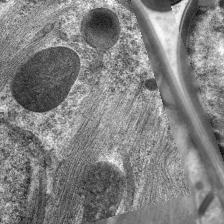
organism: C. elegans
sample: Pharynx